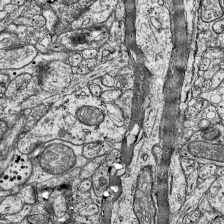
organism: Mouse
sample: Visual Cortex